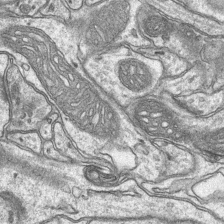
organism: Mouse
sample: CA1 Hippocampus